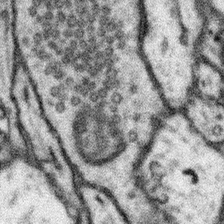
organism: Mouse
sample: Somatosensory cortex neuropil